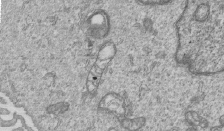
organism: Human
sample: MDA-MB-231 cells